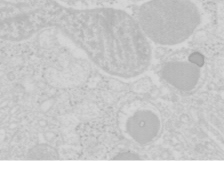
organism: Mouse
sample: Pancreas